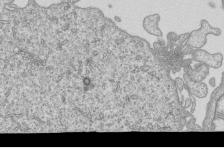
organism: Human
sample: MDA-MB-231 cells